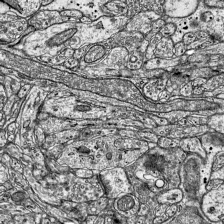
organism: Mouse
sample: Visual Cortex